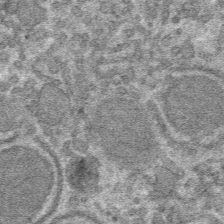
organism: Mouse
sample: Mouse hepatocytes